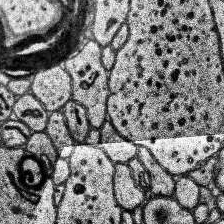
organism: Human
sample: Temporal Lobe